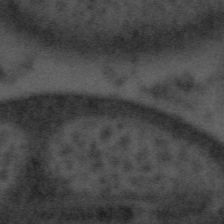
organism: Tuwongella immobilis